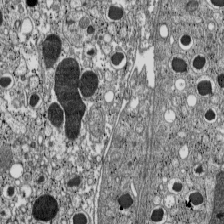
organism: C57BL Mouse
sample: Pancreatic islet